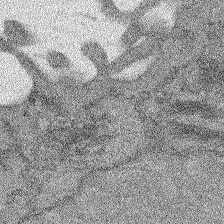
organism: Human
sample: HeLa cells